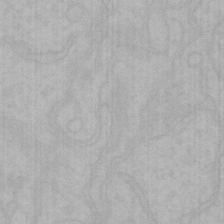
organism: Mouse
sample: Choroid plexus